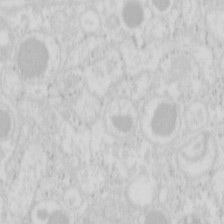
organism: Mouse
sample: Pancreas